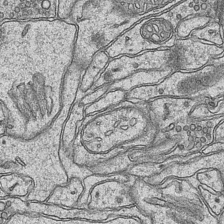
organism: Mouse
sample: CA1 Hippocampus